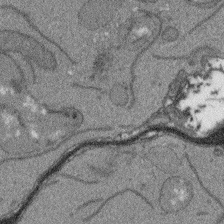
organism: Arabidopsis thaliana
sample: Root tip